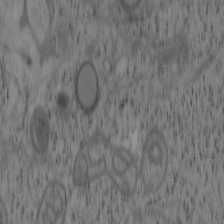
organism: Human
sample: HeLa cells